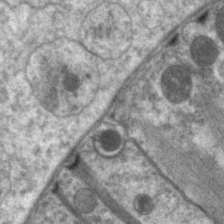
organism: C. elegans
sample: Pharynx